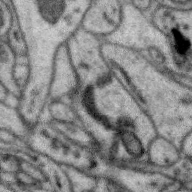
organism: Zebra finch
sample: Brain